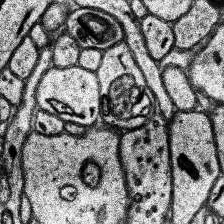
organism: Human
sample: Temporal Lobe